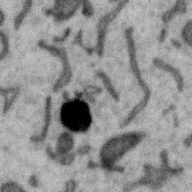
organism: Zebra finch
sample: Brain